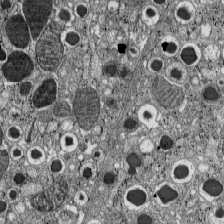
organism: C57BL Mouse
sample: Pancreatic islet